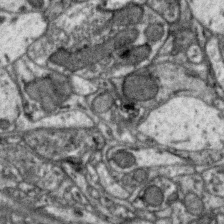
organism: Zebra finch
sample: Brain